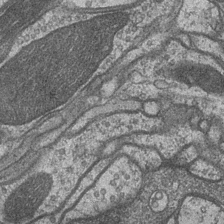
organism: Drosophila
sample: Optic medulla